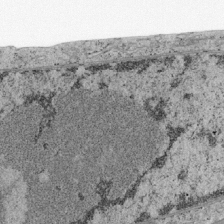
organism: Human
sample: HeLa cells